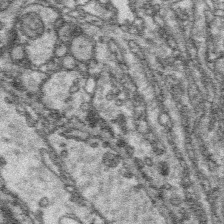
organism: Platynereis dumerilii